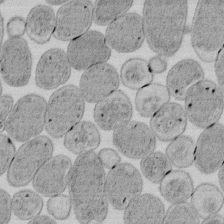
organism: E. coli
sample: Bacterial nucleoid